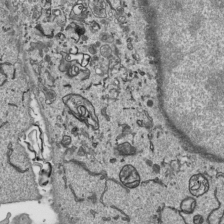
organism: Human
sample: Mitochondria in HCT116 cells